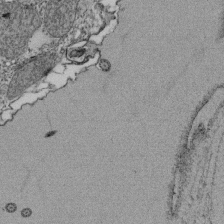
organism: Tetrahymena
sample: Cilia in tetrahymena